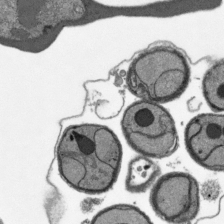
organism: Plasmodium falciparum